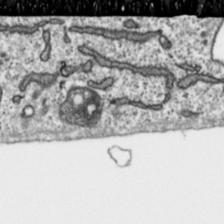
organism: Toxoplasma gondii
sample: Parasites in a vacuole inside a host cell